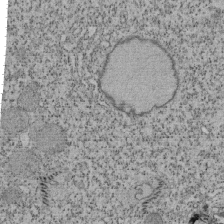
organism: Tetrahymena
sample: Cilia in tetrahymena